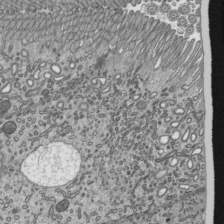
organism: Mouse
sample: Mouse epididymis efferent ductule cilia